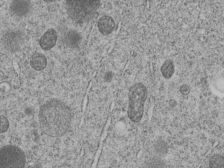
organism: C. elegans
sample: C. elegans embryo early stage